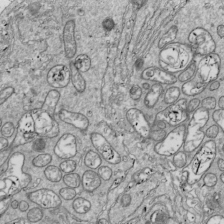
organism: Drosophila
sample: Cell division; meiosis; drosophila spermatocytes